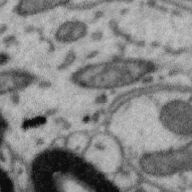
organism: Zebra finch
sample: Brain